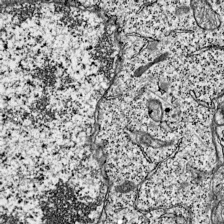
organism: Mouse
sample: Visual Cortex